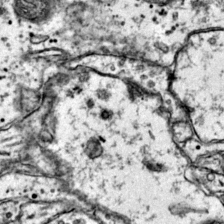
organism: Mouse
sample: Primary visual cortex